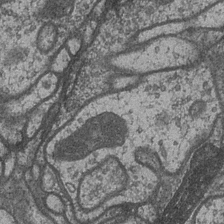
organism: Drosophila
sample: Optic medulla